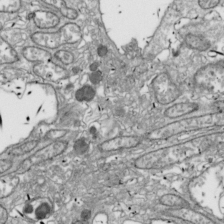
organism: Drosophila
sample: Cell division; meiosis; drosophila spermatocytes